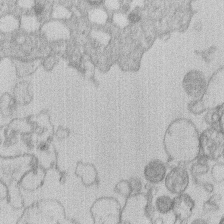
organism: Human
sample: Macrophage cells